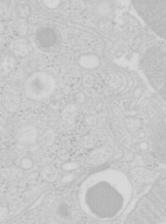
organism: Mouse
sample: Pancreas